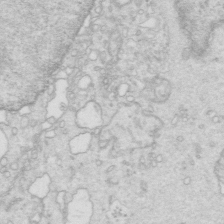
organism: Mouse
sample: Multiciliated cells